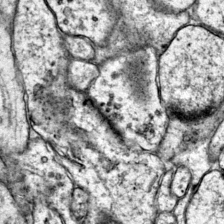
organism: Mouse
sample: Primary visual cortex